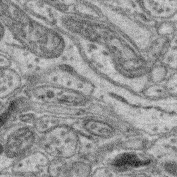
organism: Mouse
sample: Retina